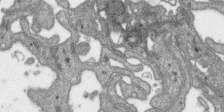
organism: Human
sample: Lung epithelial cells infected with SARS-CoV-2